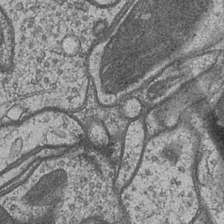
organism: Drosophila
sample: Optic medulla